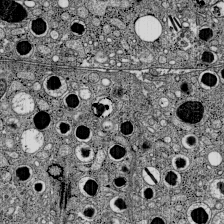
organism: C57BL Mouse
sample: Pancreatic islet